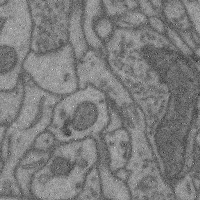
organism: Mouse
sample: Cerebral cortex